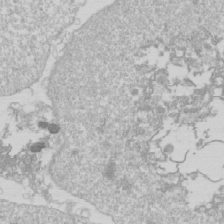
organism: Drosophila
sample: Cell division; meiosis; drosophila spermatocytes